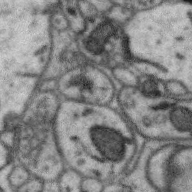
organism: Zebra finch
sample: Brain